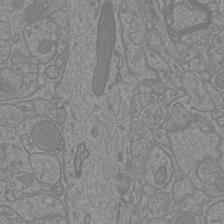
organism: Mouse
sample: Cortical neurons